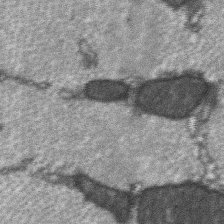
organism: C57BL Mouse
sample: Soleus